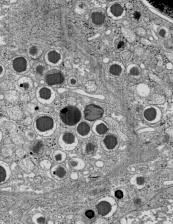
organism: C57BL Mouse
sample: Pancreatic islet